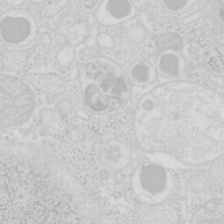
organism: Mouse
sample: Pancreas